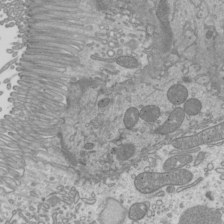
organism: Mouse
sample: Cilia; mouse epididymis